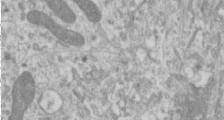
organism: Human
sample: Cilia; basal body in RPE cells